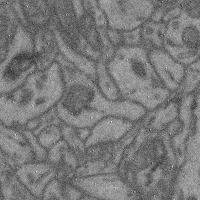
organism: Mouse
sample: Cerebral cortex